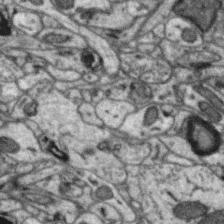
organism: Zebra finch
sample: Brain